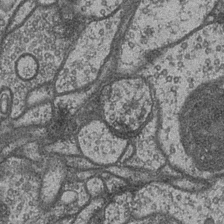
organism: Drosophila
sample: Optic medulla